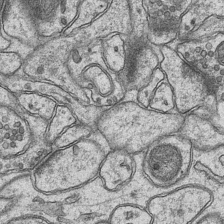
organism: Mouse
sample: CA1 Hippocampus